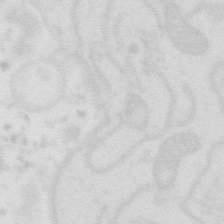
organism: Human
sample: HeLa cells